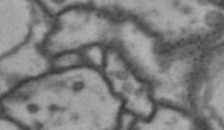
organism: Drosophila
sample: Brain